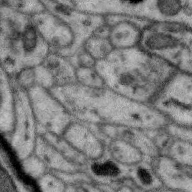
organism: Zebra finch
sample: Brain